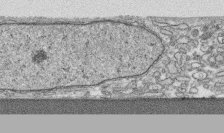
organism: Human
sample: CRL-1474